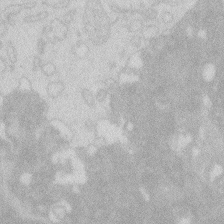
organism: Zebrafish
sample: Macrophage